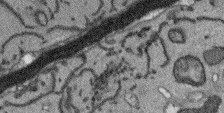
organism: Arabidopsis thaliana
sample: Root tip